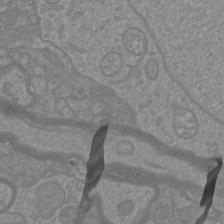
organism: Mouse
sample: Cortical neurons